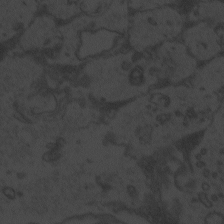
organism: Zebrafish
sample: Macrophage infected with Toxoplasma gondii